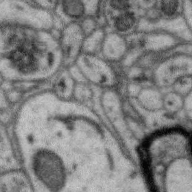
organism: Zebra finch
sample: Brain